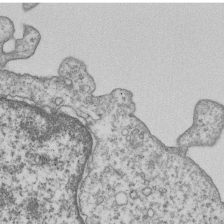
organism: Human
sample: MDA-MB-231 cells